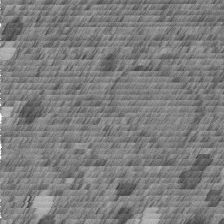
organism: C. elegans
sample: C. elegans embryo early stage